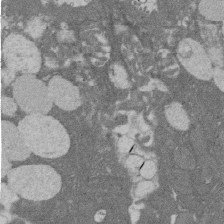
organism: Rat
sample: Salivary granule